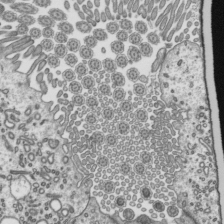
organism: Mouse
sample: Mouse epididymis efferent ductule cilia